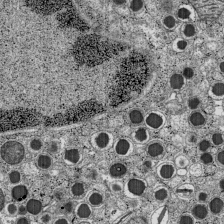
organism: C57BL Mouse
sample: Pancreatic islet